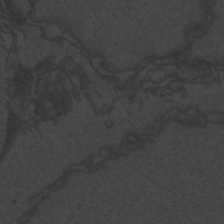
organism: Zebrafish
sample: Macrophage infected with Toxoplasma gondii